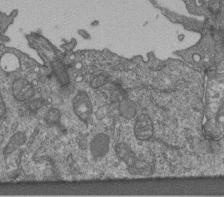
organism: Human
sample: Retinal organoid Rod and Cone cells